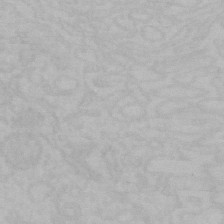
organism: Mouse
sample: Choroid plexus